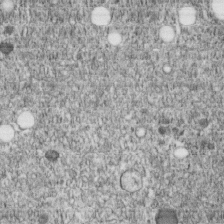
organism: C. elegans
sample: C. elegans embryo early stage